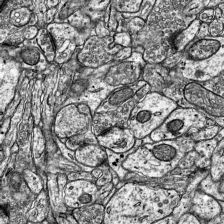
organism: Mouse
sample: Visual Cortex